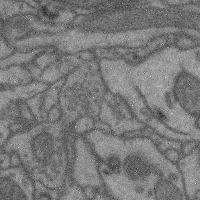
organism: Mouse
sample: Cerebral cortex